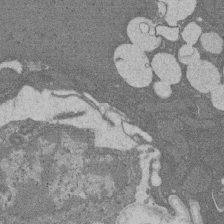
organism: Rat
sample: Salivary granule